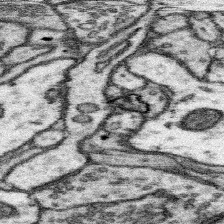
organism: Mouse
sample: Somatosensory cortex neuropil